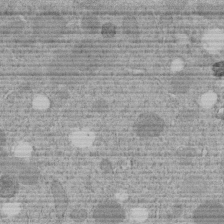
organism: C. elegans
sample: C. elegans embryo early stage